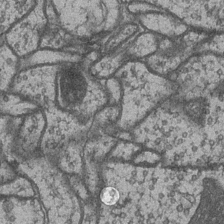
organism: Drosophila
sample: Optic medulla